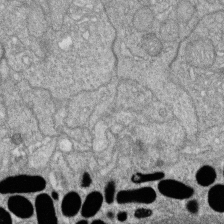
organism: Zebrafish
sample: Cilia; retinal pigment epithelium